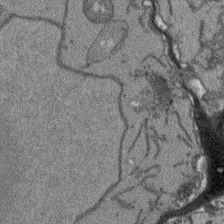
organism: Arabidopsis thaliana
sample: Root tip